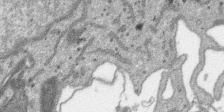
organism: Human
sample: Lung epithelial cells infected with SARS-CoV-2